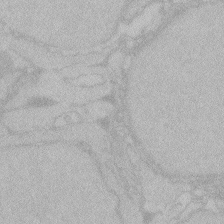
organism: Zebrafish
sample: Macrophage infected with Toxoplasma gondii